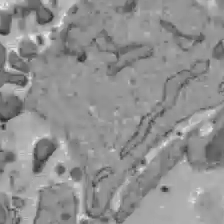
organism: C57BL Mouse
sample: Liver